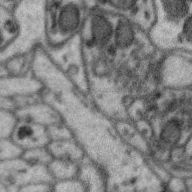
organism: Zebra finch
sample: Brain